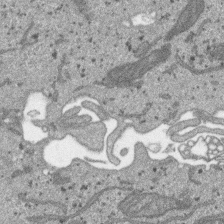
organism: Human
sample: Lung epithelial cells infected with SARS-CoV-2